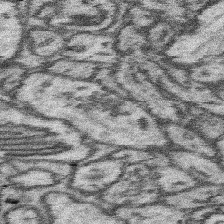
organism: Mouse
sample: Somatosensory cortex neuropil